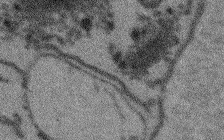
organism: Arabidopsis thaliana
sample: Root tip